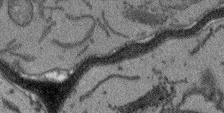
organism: Arabidopsis thaliana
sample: Root tip